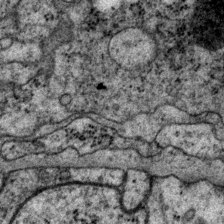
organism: P. pacificus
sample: Pharynx